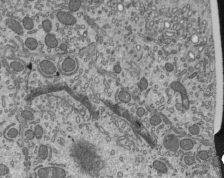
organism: Mouse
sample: Mouse epididymis efferent ductule cilia